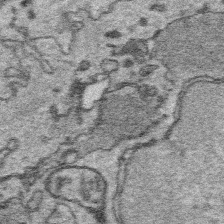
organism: Platynereis dumerilii